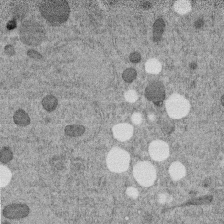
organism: C. elegans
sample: C. elegans embryo early stage